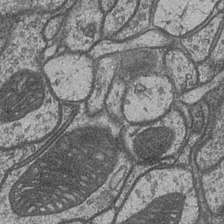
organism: Drosophila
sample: Optic medulla